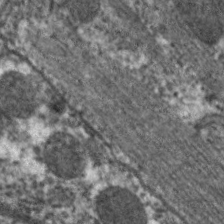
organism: C. elegans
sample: Pharynx